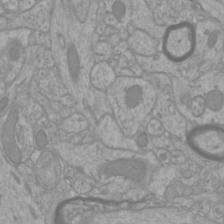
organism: Mouse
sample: Cortical neurons